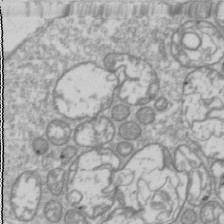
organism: Drosophila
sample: Cell division; meiosis; drosophila spermatocytes